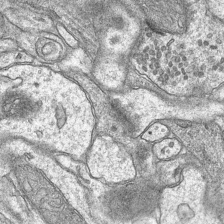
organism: Mouse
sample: CA1 Hippocampus